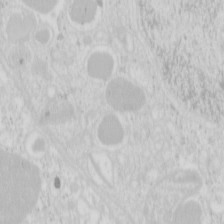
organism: Mouse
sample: Pancreas